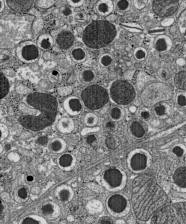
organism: C57BL Mouse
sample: Pancreatic islet